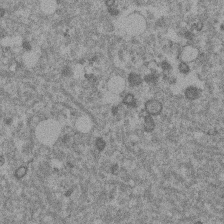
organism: Mouse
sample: Dividing mouse embryo 1 cell stage